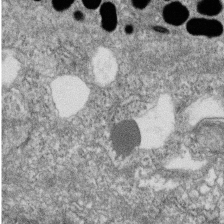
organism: Zebrafish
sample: Cilia; retinal pigment epithelium